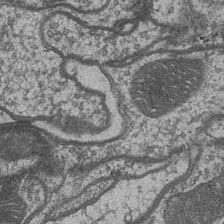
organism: Drosophila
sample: Optic medulla